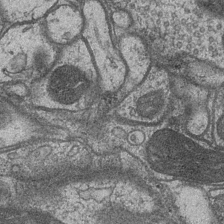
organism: Drosophila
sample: Optic medulla